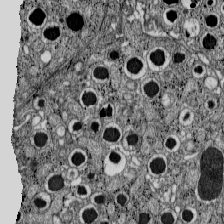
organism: C57BL Mouse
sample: Pancreatic islet